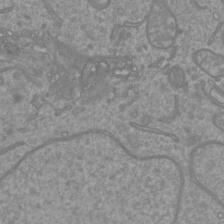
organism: Mouse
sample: Cortical neurons